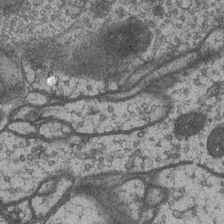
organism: Drosophila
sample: Optic medulla